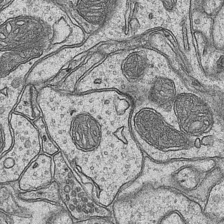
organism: Mouse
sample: CA1 Hippocampus